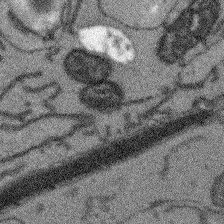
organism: Arabidopsis thaliana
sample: Root tip